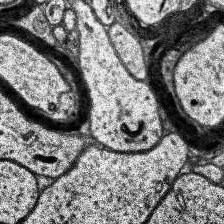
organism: Human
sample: Temporal Lobe